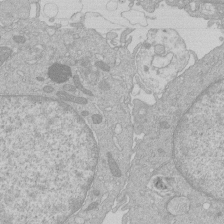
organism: Human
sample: Macrophage cells